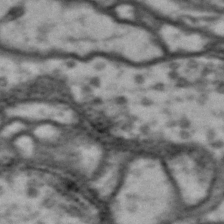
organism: Drosophila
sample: Brain